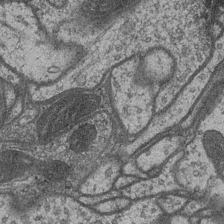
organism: Drosophila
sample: Optic medulla